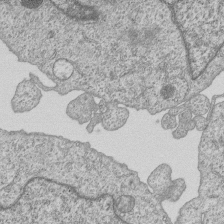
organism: Human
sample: MDA-MB-231 cells